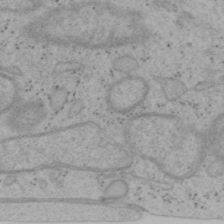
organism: Human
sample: HeLa cells